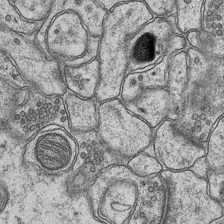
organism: Mouse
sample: CA1 Hippocampus